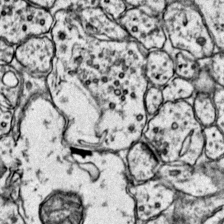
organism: Mouse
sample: Primary visual cortex